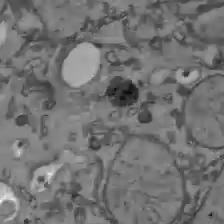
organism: C57BL Mouse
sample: Liver